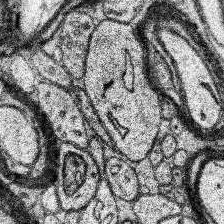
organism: Human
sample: Temporal Lobe